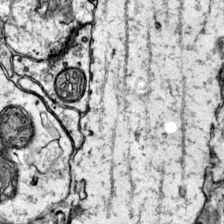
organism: Mouse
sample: Primary visual cortex